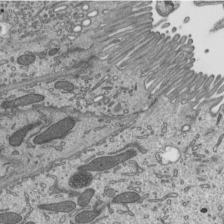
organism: Mouse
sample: Mouse epididymis efferent ductule cilia